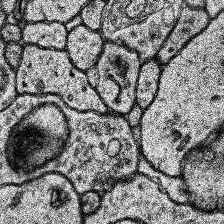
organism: Human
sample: Temporal Lobe